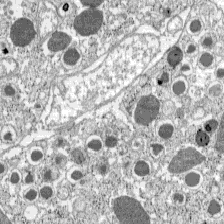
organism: C57BL Mouse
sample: Pancreatic islet